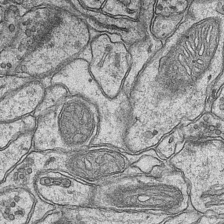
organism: Mouse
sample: CA1 Hippocampus